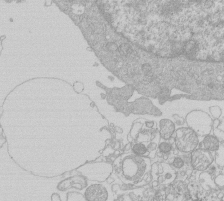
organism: Human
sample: Macrophage cells